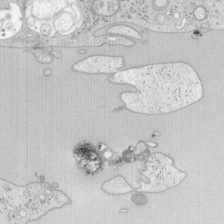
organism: Mouse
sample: OT-I killer T cells with ID8 ovarian cancer cells